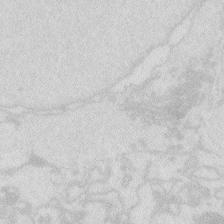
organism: Zebrafish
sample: Macrophage